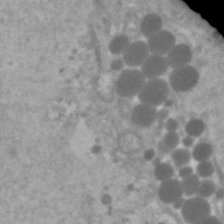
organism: Human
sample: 1205lu cells